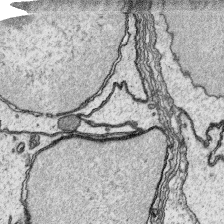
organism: Platynereis dumerilii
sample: Parapodia